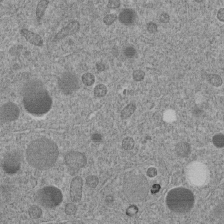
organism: C. elegans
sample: C. elegans embryo early stage